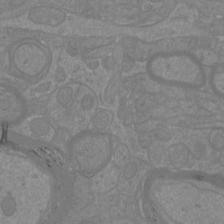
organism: Mouse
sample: Cortical neurons